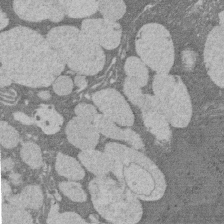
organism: Rat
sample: Salivary granule